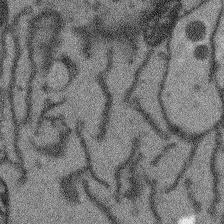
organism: Arabidopsis thaliana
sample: Root tip